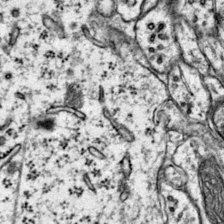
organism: Mouse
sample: Primary visual cortex